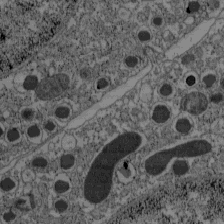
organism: C57BL Mouse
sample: Pancreatic islet